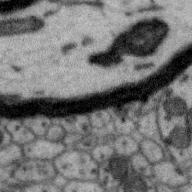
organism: Zebra finch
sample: Brain